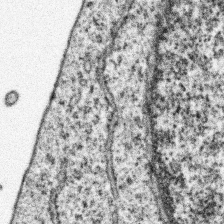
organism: Human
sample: HeLa cells